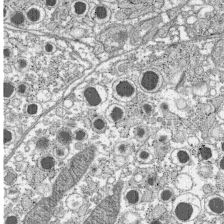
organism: C57BL Mouse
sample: Pancreatic islet